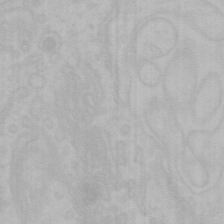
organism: Mouse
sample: Choroid plexus